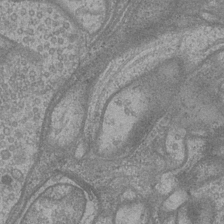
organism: Drosophila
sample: Optic medulla